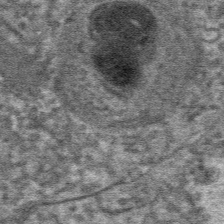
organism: Mouse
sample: Mouse hepatocytes